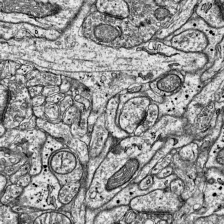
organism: Mouse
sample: Visual Cortex